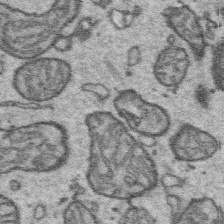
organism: Platynereis dumerilii